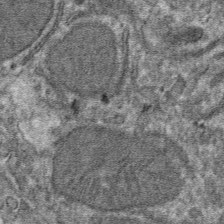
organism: Mouse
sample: Mouse hepatocytes